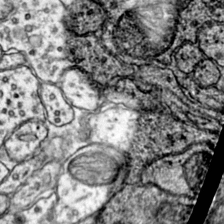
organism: Mouse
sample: Primary visual cortex